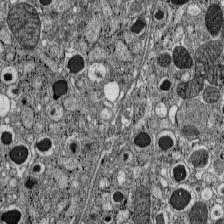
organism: C57BL Mouse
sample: Pancreatic islet